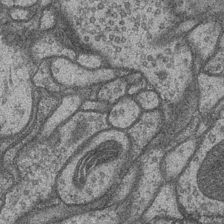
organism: Drosophila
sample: Optic medulla